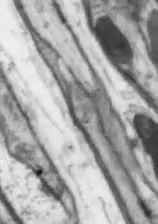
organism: Drosophila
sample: Optic lobe